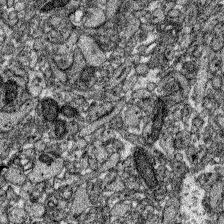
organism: Zebrafish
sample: Larval olfactory bulb